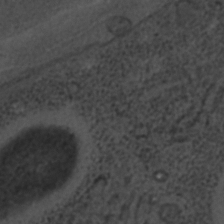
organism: C. elegans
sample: C. elegans embryo